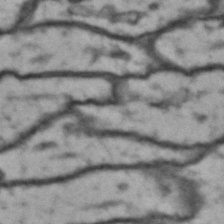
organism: Drosophila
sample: Brain